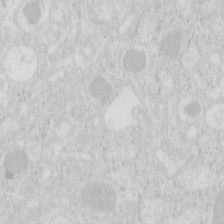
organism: Mouse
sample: Pancreas